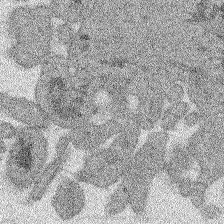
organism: Human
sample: HeLa cells